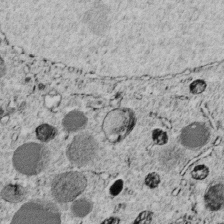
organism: C. elegans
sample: C. elegans embryo early stage